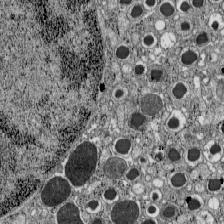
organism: C57BL Mouse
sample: Pancreatic islet